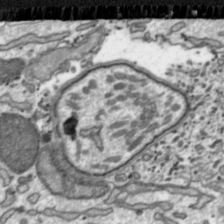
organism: Toxoplasma gondii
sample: Parasites in a vacuole inside a host cell